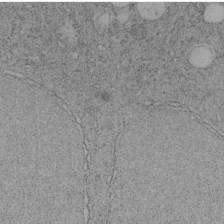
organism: C. elegans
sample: C. elegans embryo early stage